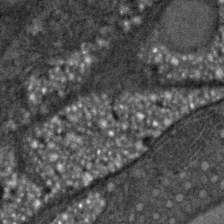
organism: C. elegans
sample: C. elegans embryo